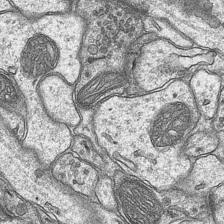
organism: Mouse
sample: CA1 Hippocampus